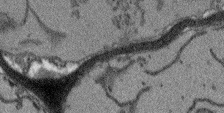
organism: Arabidopsis thaliana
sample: Root tip